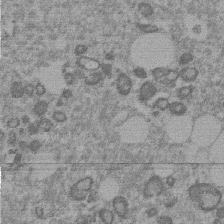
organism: Mouse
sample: Dividing mouse embryo 1 cell stage